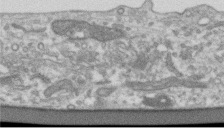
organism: Human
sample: Centriole in RPE cells